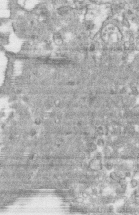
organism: Human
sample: CRL-1474